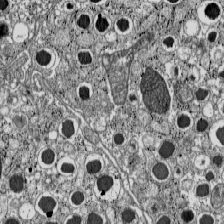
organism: C57BL Mouse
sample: Pancreatic islet